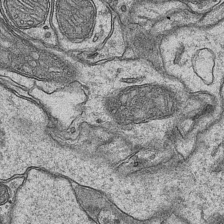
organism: Mouse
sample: CA1 Hippocampus